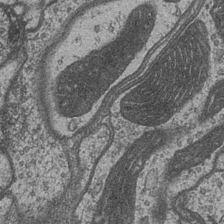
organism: Drosophila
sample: Optic medulla